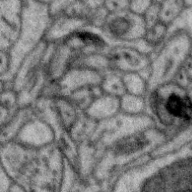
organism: Zebra finch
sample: Brain